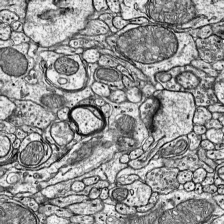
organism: Mouse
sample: Visual Cortex